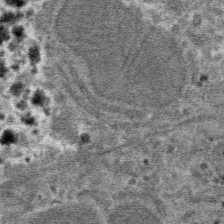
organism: Mouse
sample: Mouse hepatocytes